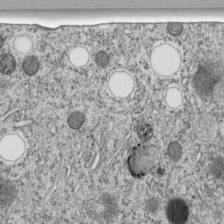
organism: C. elegans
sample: C. elegans embryo early stage